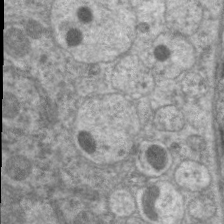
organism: C. elegans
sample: Pharynx